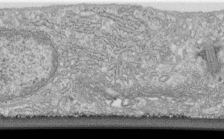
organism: Human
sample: Centriole in fibroblast cells